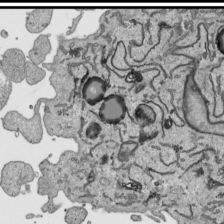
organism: Human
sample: Mitochondria in HCT116 cells